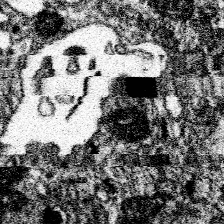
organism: Spongilla lacustris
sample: Neuroid cell